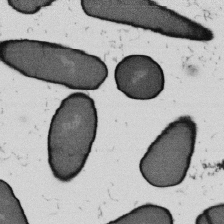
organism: B. subtilis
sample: Bacterial spore